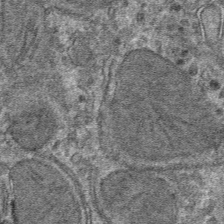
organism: Mouse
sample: Mouse hepatocytes